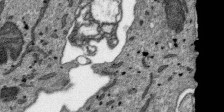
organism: Human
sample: Lung epithelial cells, uninfected (mock) control